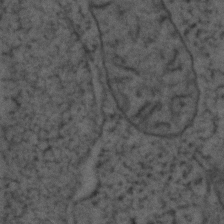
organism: Zebrafish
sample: Zebrafish embryo